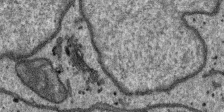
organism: Human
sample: Lung epithelial cells, uninfected (mock) control